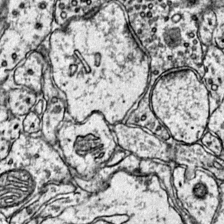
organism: Mouse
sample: Primary visual cortex